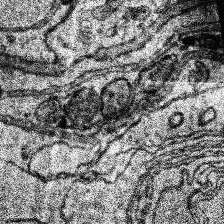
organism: Human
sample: Temporal Lobe